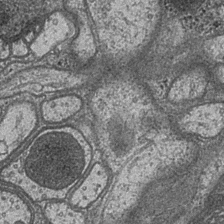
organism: Drosophila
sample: Optic medulla